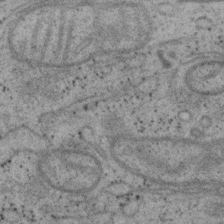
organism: Human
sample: HeLa cells